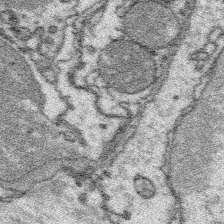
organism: Platynereis dumerilii